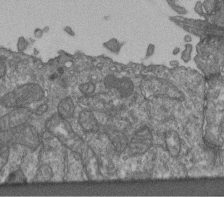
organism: Human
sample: Retinal organoid Rod and Cone cells